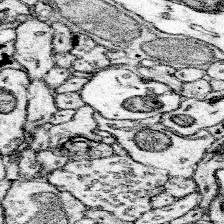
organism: Mouse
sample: Somatosensory cortex neuropil